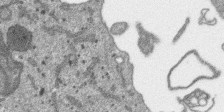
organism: Human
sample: Lung epithelial cells infected with SARS-CoV-2